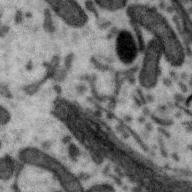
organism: Zebra finch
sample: Brain